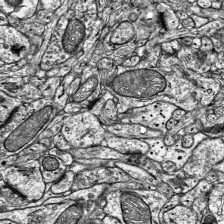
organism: Mouse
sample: Visual Cortex